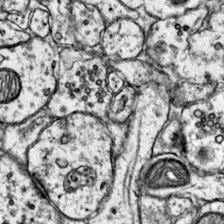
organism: Mouse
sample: Primary visual cortex